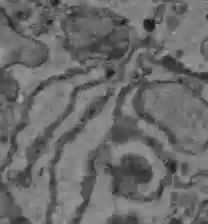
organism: C57BL Mouse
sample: Liver